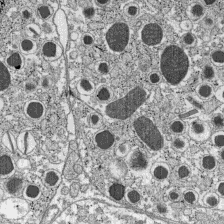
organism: C57BL Mouse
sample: Pancreatic islet